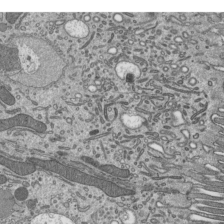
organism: Mouse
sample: Mouse epididymis efferent ductule cilia